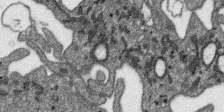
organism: Human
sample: Lung epithelial cells infected with SARS-CoV-2